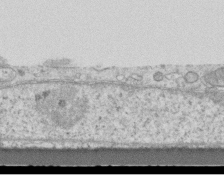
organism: Mouse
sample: Centriole in ependymal cells